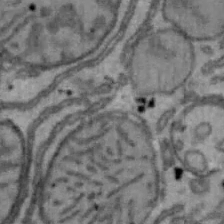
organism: Mouse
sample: Liver